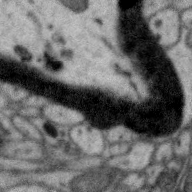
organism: Zebra finch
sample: Brain